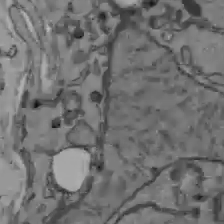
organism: C57BL Mouse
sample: Liver